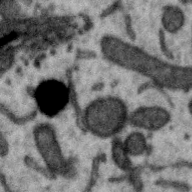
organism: Zebra finch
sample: Brain